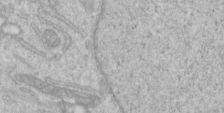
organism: Human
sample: Centriole in RPE cells